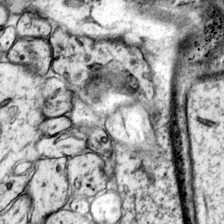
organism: Mouse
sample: Primary visual cortex